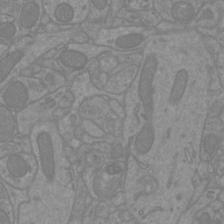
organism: Mouse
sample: Cortical neurons